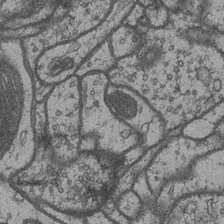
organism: Drosophila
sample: Optic medulla